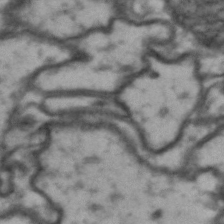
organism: Drosophila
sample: Brain